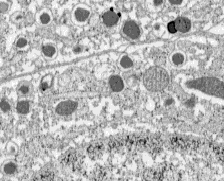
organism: C57BL Mouse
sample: Pancreatic islet